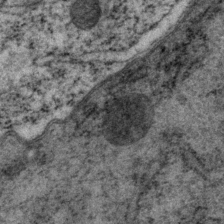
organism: P. pacificus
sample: Pharynx